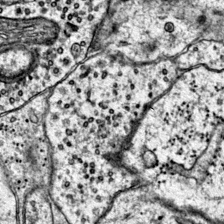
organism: Mouse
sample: Primary visual cortex